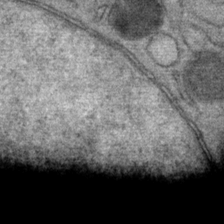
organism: Mouse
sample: Mouse Salivary gland